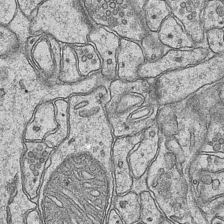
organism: Mouse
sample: CA1 Hippocampus